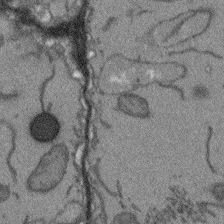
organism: Arabidopsis thaliana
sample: Root tip